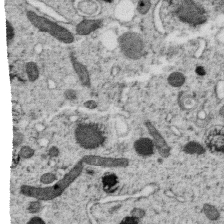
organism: C. elegans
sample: C. elegans oocyte; sperm cells